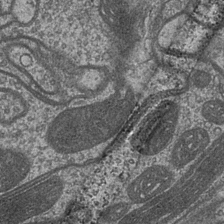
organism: Drosophila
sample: Optic medulla